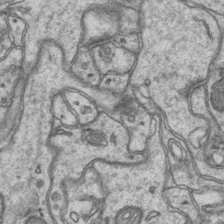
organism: Mouse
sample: CA1 Hippocampus